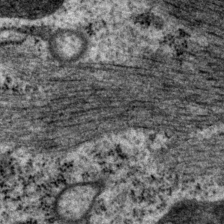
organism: P. pacificus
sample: Pharynx